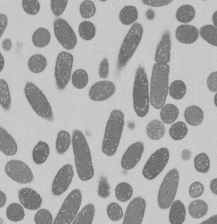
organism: E. coli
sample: Bacterial nucleoid